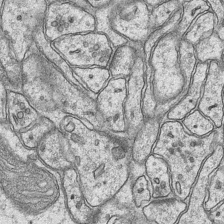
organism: Mouse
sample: CA1 Hippocampus